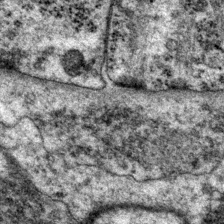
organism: P. pacificus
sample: Pharynx